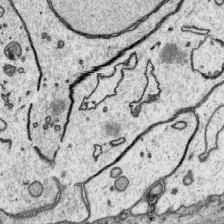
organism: Platynereis dumerilii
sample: Parapodia